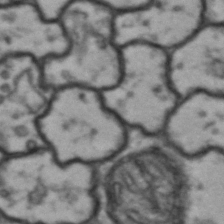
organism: Drosophila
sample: Brain